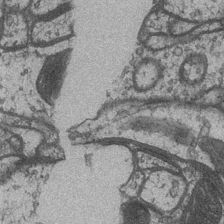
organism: Drosophila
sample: Optic medulla